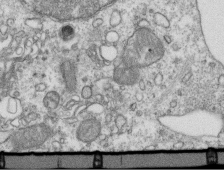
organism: Mouse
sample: Activated OT-1 CD8+ T cells